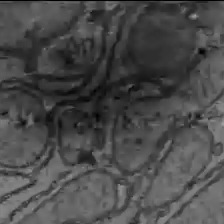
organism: C57BL Mouse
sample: Liver